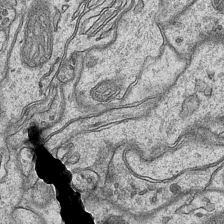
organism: Mouse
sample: CA1 Hippocampus